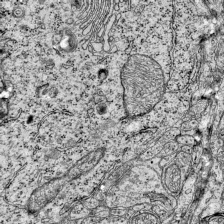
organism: Mouse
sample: Visual Cortex